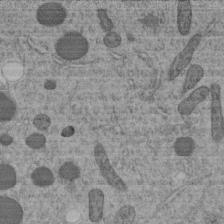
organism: C. elegans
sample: C. elegans embryo early stage